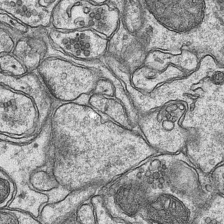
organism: Mouse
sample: CA1 Hippocampus